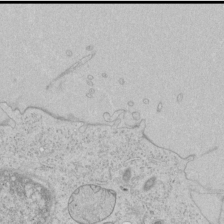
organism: Human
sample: Mitochondria in HCT116 cells